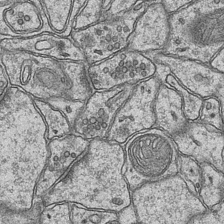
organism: Mouse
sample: CA1 Hippocampus